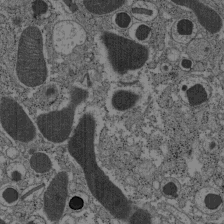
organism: C57BL Mouse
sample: Pancreatic islet